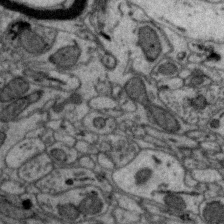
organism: Zebra finch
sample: Brain